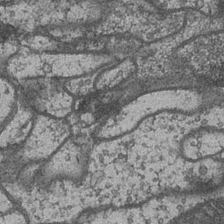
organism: Drosophila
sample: Optic medulla